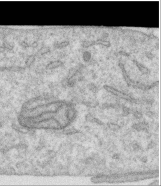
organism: Human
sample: Centriole in RPE cells